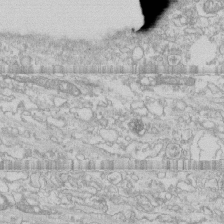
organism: Human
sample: CRL-1474